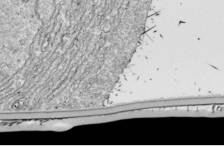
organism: Drosophila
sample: Cell division; meiosis; drosophila spermatocytes